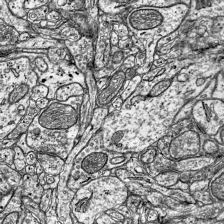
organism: Mouse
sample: Visual Cortex